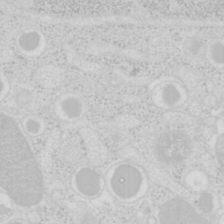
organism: Mouse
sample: Pancreas